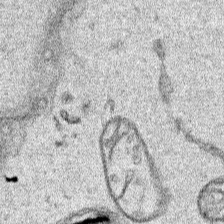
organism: Human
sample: Mitochondria in HCT116 cells